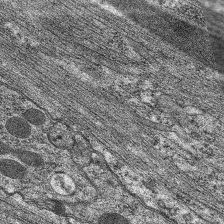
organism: C. elegans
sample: Pharynx